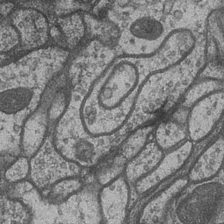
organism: Drosophila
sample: Optic medulla